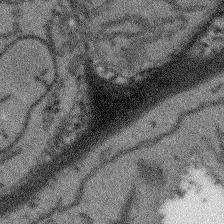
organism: Arabidopsis thaliana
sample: Root tip